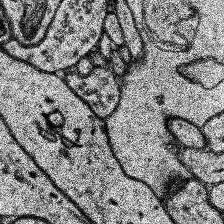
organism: Human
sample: Temporal Lobe